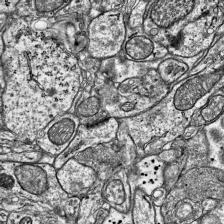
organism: Mouse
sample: Visual Cortex